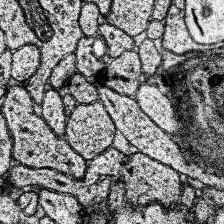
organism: Human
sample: Temporal Lobe